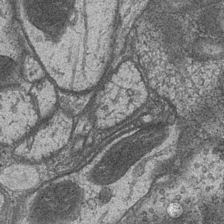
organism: Drosophila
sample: Optic medulla